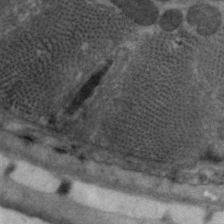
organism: C. elegans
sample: Pharynx